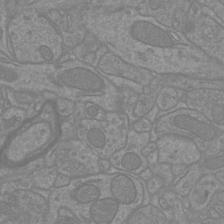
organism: Mouse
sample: Cortical neurons